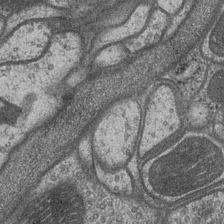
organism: Drosophila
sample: Optic medulla